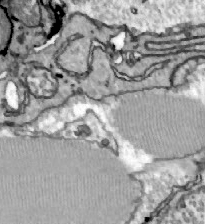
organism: Zebrafish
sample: Actinotrichia fibers